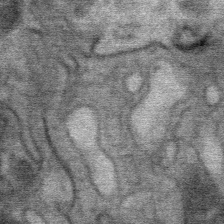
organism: Mouse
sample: Mouse Salivary gland